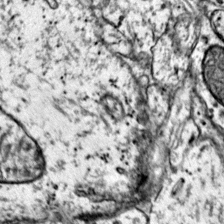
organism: Mouse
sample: Primary visual cortex